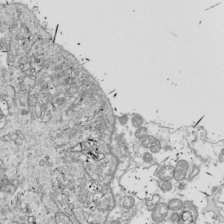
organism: Drosophila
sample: Cell division; meiosis; drosophila spermatocytes